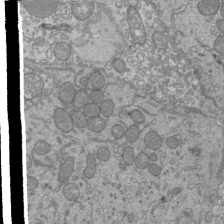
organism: Mouse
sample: Cilia; mouse epididymis